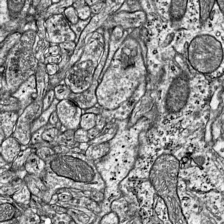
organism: Mouse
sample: Visual Cortex